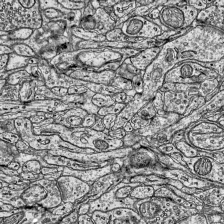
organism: Mouse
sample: Visual Cortex